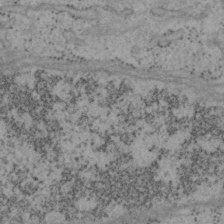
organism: Human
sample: HeLa cells